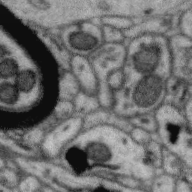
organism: Zebra finch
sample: Brain